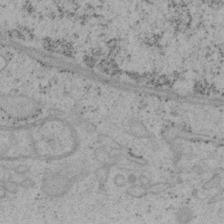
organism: Human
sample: HeLa cells